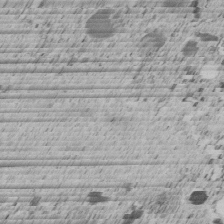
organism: C. elegans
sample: C. elegans embryo early stage